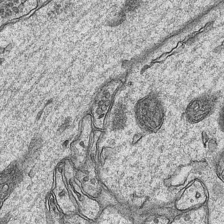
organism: Mouse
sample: CA1 Hippocampus